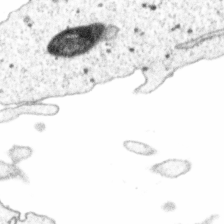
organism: Human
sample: HeLa cells